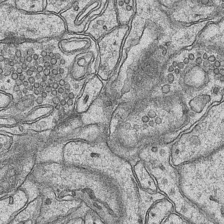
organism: Mouse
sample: CA1 Hippocampus